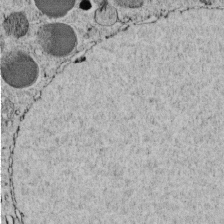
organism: C. elegans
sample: C. elegans embryo early stage